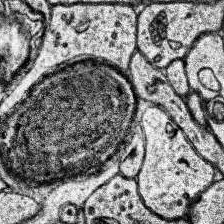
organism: Human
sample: Temporal Lobe